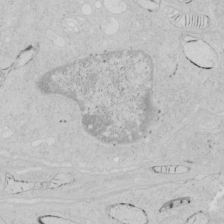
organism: Human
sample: Mitochondria in HCT116 cells